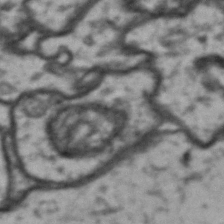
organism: Drosophila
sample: Brain